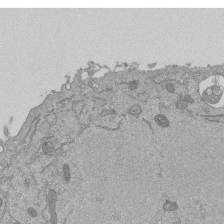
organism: Mouse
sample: ED-1 cell nuclei; centrioles